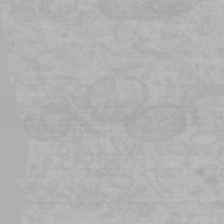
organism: Mouse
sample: Choroid plexus